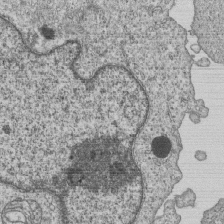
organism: Human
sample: MDA-MB-231 cells